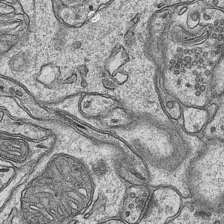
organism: Mouse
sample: CA1 Hippocampus